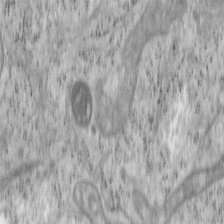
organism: Human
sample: HeLa cells